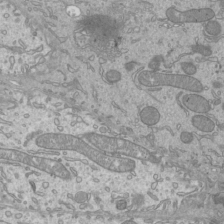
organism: Mouse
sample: Cilia; mouse epididymis